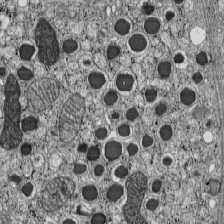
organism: C57BL Mouse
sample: Pancreatic islet